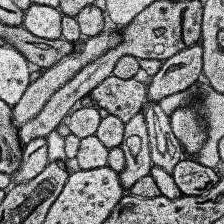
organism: Human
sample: Temporal Lobe